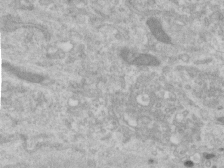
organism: Human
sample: Centriole in RPE cells